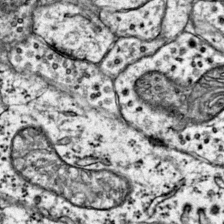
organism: Mouse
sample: Primary visual cortex